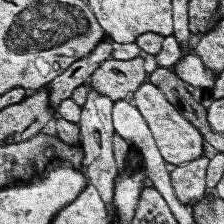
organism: Human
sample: Temporal Lobe